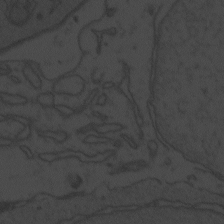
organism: Zebrafish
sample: Macrophage infected with Toxoplasma gondii